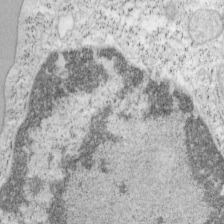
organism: Mouse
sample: OT-I killer T cells with ID8 ovarian cancer cells